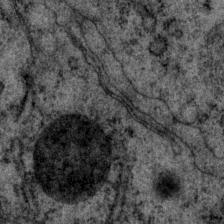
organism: P. pacificus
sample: Pharynx